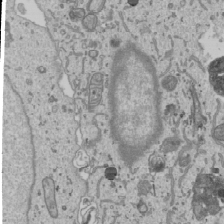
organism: Human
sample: Mitochondria in U2OS cells